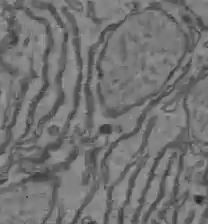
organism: C57BL Mouse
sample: Liver